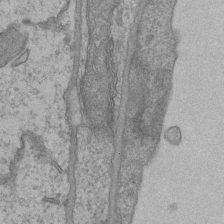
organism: Mouse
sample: CA1 Hippocampus